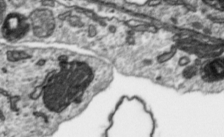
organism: Toxoplasma gondii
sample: Parasites in a vacuole inside a host cell